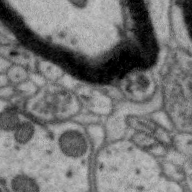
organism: Zebra finch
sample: Brain